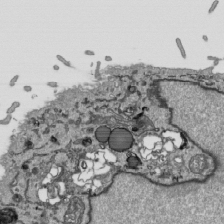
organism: Human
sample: Mitochondria in HCT116 cells